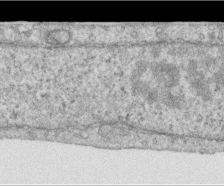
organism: Human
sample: Centriole in RPE cells